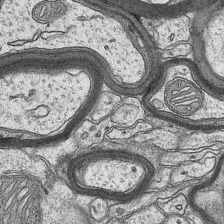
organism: Mouse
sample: CA1 Hippocampus